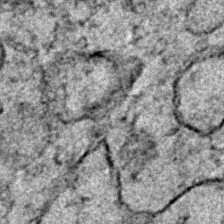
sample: Trachea